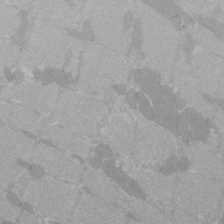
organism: C57BL Mouse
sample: Tibialis anterior muscle cell